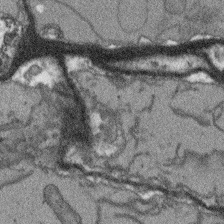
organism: Arabidopsis thaliana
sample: Root tip